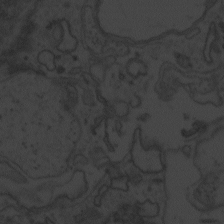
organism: Zebrafish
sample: Macrophage infected with Toxoplasma gondii